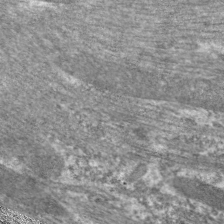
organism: C. elegans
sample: Pharynx